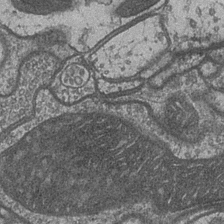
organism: Drosophila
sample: Optic medulla